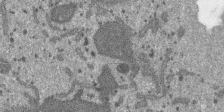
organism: Human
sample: Lung epithelial cells infected with SARS-CoV-2